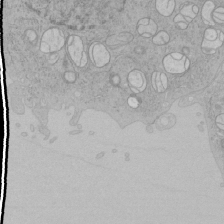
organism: Human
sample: Mitochondria in HCT116 cells